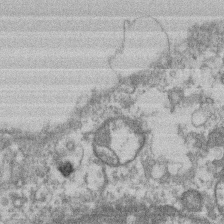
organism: Mouse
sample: T cell stromal cell synapse